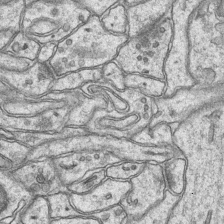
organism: Mouse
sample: CA1 Hippocampus